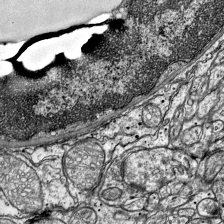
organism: Mouse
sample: Visual Cortex